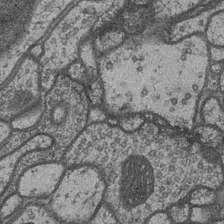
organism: Drosophila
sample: Optic medulla